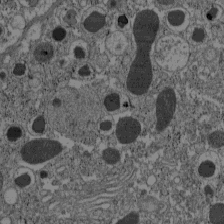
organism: C57BL Mouse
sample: Pancreatic islet